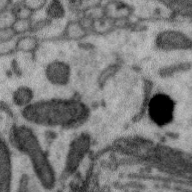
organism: Zebra finch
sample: Brain